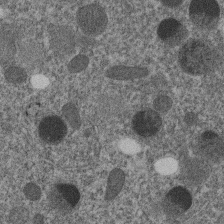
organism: C. elegans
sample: C. elegans embryo early stage